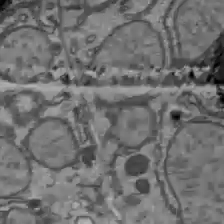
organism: C57BL Mouse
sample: Liver